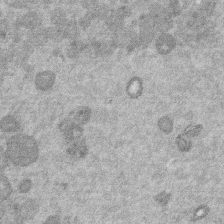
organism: Mouse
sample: Dividing mouse embryo 1 cell stage